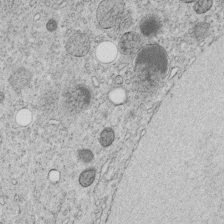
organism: C. elegans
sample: C. elegans embryo early stage